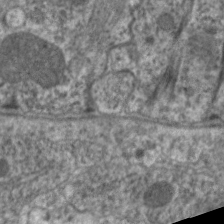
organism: C. elegans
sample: Pharynx